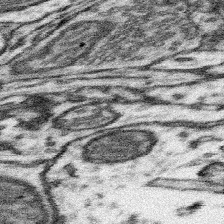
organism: Mouse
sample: Somatosensory cortex neuropil